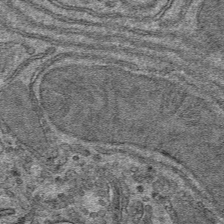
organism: Mouse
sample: Mouse hepatocytes